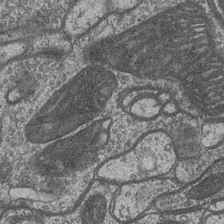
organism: Drosophila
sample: Optic medulla